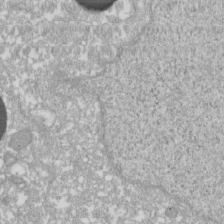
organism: Xenopus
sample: Cilia; centrioles in frog embryo cells